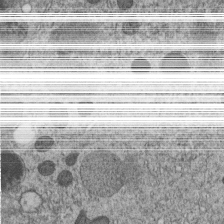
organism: C. elegans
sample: C. elegans embryo early stage